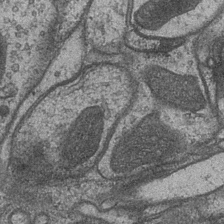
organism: Drosophila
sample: Optic medulla